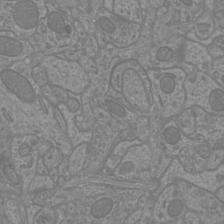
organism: Mouse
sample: Cortical neurons